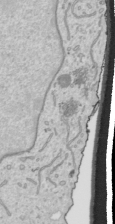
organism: Human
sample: Mitochondria in HCT116 cells